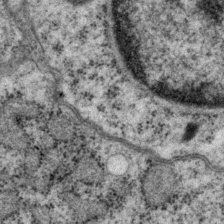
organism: P. pacificus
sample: Pharynx